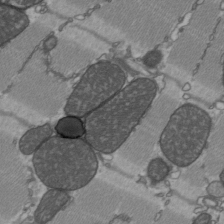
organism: C57BL Mouse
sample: Heart